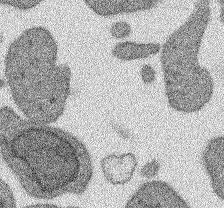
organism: Human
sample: HeLa cells